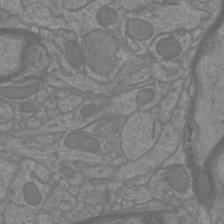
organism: Mouse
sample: Cortical neurons